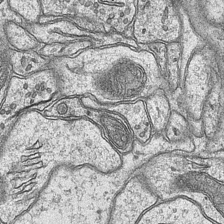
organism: Mouse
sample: CA1 Hippocampus